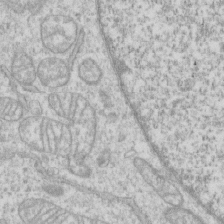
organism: Human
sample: CRL-1474